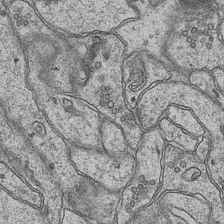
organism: Mouse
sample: CA1 Hippocampus